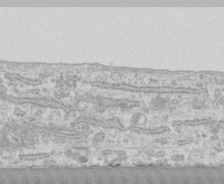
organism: Human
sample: CRL-1474